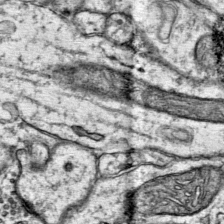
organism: Mouse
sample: Primary visual cortex